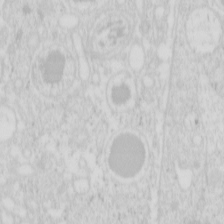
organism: Mouse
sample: Pancreas